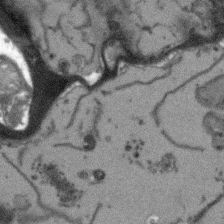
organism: Arabidopsis thaliana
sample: Root tip